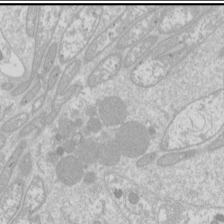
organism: Drosophila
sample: Cell division; meiosis; drosophila spermatocytes